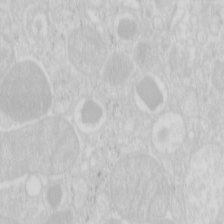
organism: Mouse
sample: Pancreas